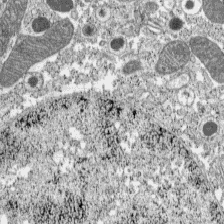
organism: C57BL Mouse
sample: Pancreatic islet